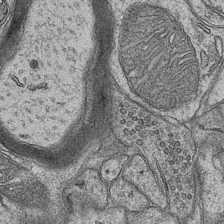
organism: Mouse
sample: CA1 Hippocampus